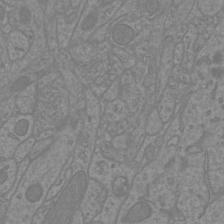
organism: Mouse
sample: Cortical neurons